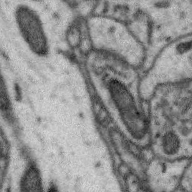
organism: Zebra finch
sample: Brain